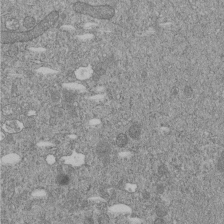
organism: C. elegans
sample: C. elegans embryo early stage